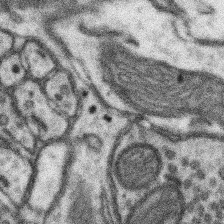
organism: Mouse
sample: Somatosensory cortex neuropil